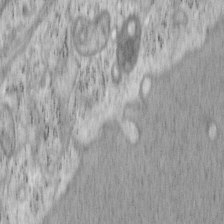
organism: Human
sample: HeLa cells